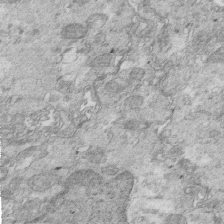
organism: Mouse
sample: Multiciliated cells